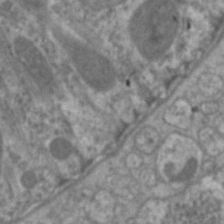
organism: C. elegans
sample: Pharynx